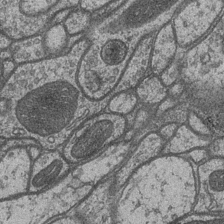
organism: Drosophila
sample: Optic medulla